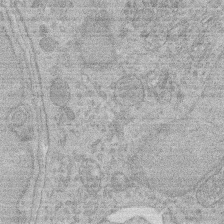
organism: Rat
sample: Salivary granule